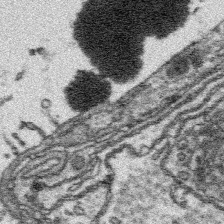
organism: Platynereis dumerilii